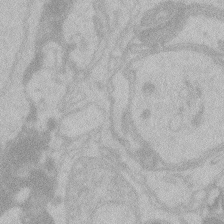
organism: Zebrafish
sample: Macrophage infected with Toxoplasma gondii